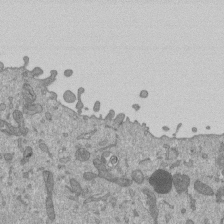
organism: Mouse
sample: ED-1 cell nuclei; centrioles